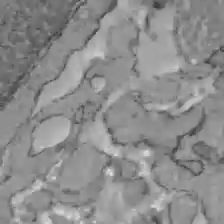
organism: C57BL Mouse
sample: Liver